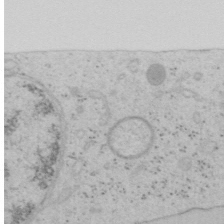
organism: Human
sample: HeLa cells